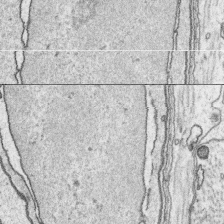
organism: Platynereis dumerilii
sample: Parapodia